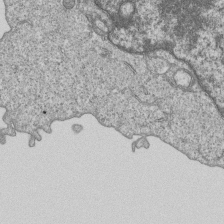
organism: Human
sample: MDA-MB-231 cells